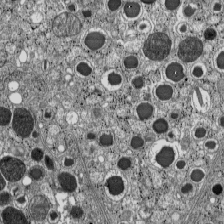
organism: C57BL Mouse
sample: Pancreatic islet